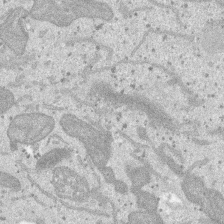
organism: Human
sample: Lung epithelial cells infected with SARS-CoV-2